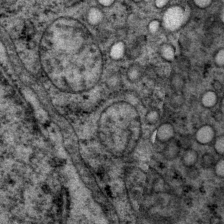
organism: P. pacificus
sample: Pharynx